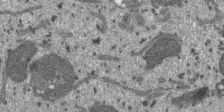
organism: Human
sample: Lung epithelial cells infected with SARS-CoV-2